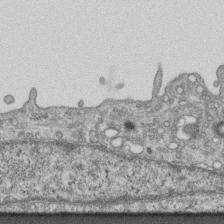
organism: Mouse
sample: Centriole in ependymal cells